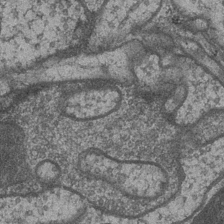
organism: Drosophila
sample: Optic medulla